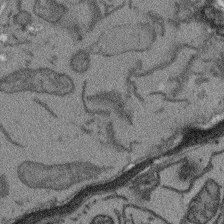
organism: Arabidopsis thaliana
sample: Root tip